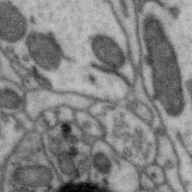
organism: Zebra finch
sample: Brain